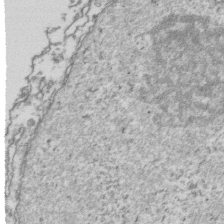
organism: Human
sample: Activated Jurkat CD4+ T cells